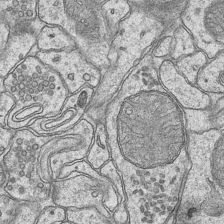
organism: Mouse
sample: CA1 Hippocampus